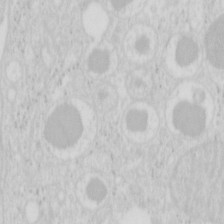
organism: Mouse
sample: Pancreas